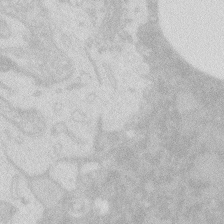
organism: Zebrafish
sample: Macrophage